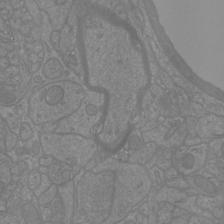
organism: Mouse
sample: Cortical neurons